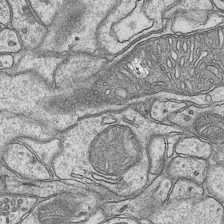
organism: Mouse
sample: CA1 Hippocampus